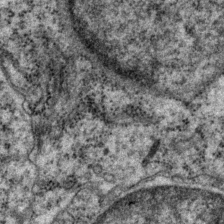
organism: P. pacificus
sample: Pharynx